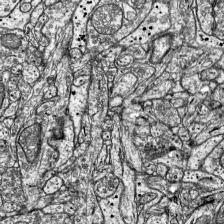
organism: Mouse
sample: Visual Cortex